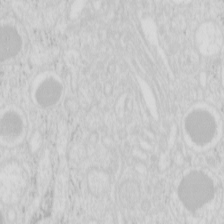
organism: Mouse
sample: Pancreas